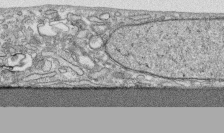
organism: Human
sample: CRL-1474